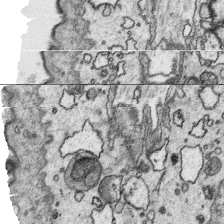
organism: Platynereis dumerilii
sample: Parapodia